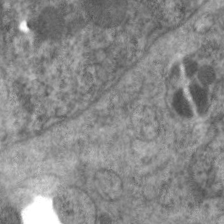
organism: C. elegans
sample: Pharynx